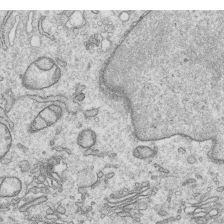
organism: Human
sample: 1205lu cells